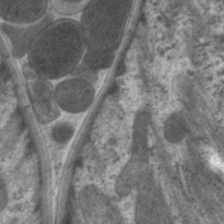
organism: C. elegans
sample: Pharynx